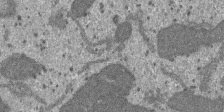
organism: Human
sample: Lung epithelial cells infected with SARS-CoV-2